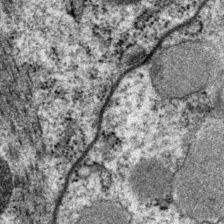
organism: P. pacificus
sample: Pharynx